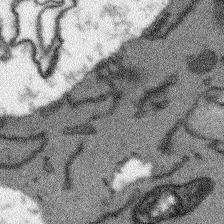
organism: Arabidopsis thaliana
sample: Root tip